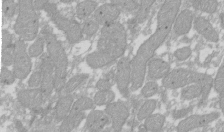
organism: Xenopus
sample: Cilia; centrioles in frog embryo cells